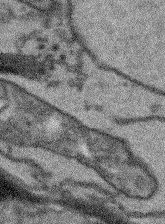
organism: Arabidopsis thaliana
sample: Root tip